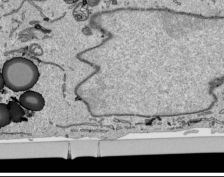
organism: Human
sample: Mitochondria in HCT116 cells